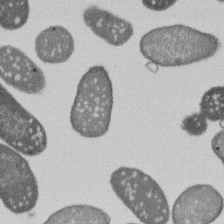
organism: E. coli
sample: Bacterial nucleoid